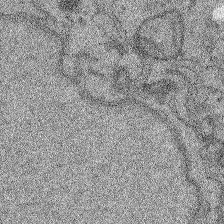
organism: Human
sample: HeLa cells